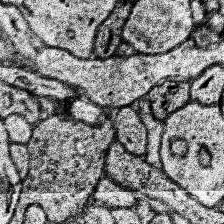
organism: Human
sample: Temporal Lobe